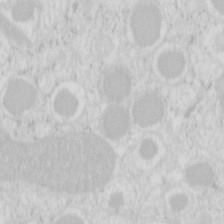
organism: Mouse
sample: Pancreas